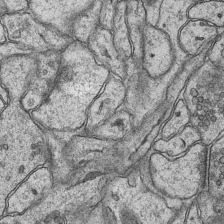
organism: Mouse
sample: CA1 Hippocampus